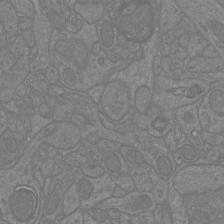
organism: Mouse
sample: Cortical neurons